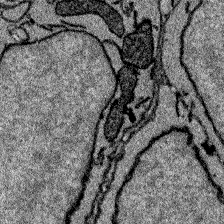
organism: Zebrafish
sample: Larval olfactory bulb